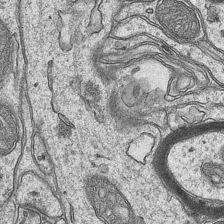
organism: Mouse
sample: CA1 Hippocampus